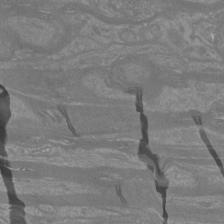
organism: Mouse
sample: Cortical neurons